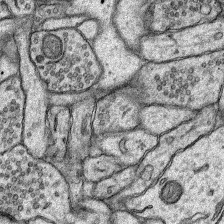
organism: Rat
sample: Hippocampus